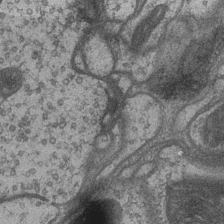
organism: Drosophila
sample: Optic medulla